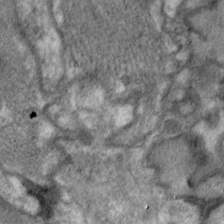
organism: C. elegans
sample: Pharynx